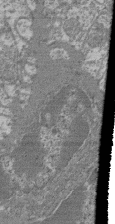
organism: Mouse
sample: Glomerulus